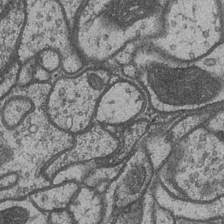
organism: Drosophila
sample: Optic medulla